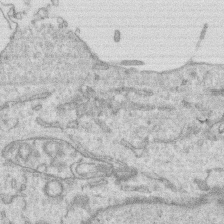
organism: Human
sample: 1205lu cells